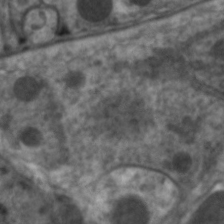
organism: C. elegans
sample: Pharynx